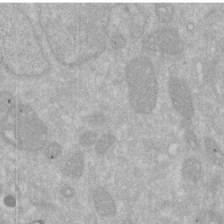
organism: Human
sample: HIV infected U937 cells